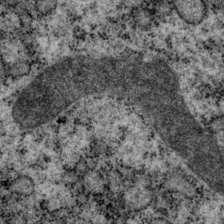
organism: P. pacificus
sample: Pharynx